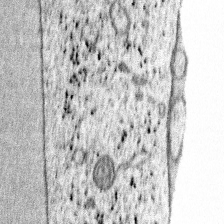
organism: Human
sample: HeLa cells